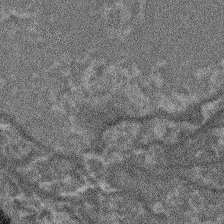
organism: Arabidopsis thaliana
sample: Root tip